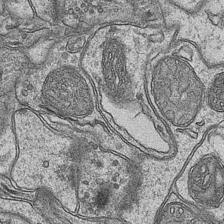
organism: Mouse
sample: CA1 Hippocampus